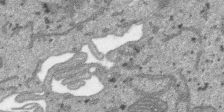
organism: Human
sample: Lung epithelial cells infected with SARS-CoV-2